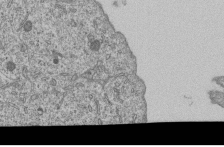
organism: Human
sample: MDA-MB-231 cells